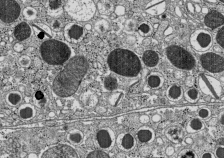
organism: C57BL Mouse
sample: Pancreatic islet